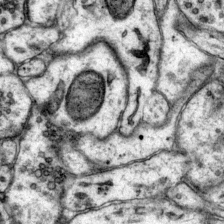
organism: Mouse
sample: Primary visual cortex